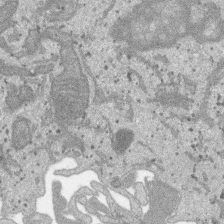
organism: Human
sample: Lung epithelial cells infected with SARS-CoV-2